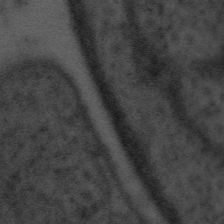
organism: Tuwongella immobilis